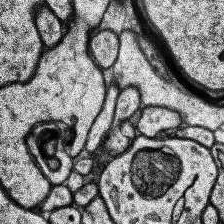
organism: Human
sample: Temporal Lobe